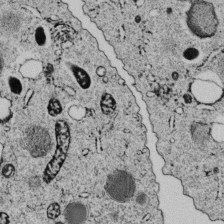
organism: C. elegans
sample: C. elegans embryo early stage